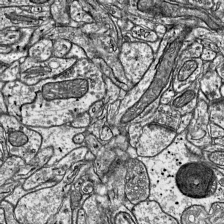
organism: Mouse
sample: Visual Cortex